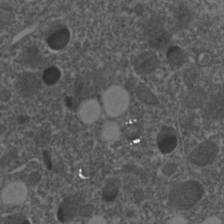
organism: C. elegans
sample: C. elegans embryo